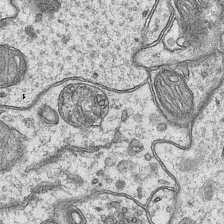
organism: Mouse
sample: CA1 Hippocampus